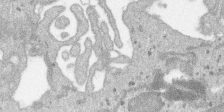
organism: Human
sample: Lung epithelial cells infected with SARS-CoV-2